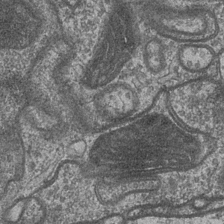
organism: Drosophila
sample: Optic medulla